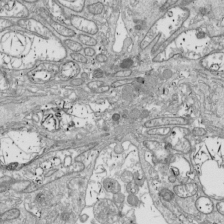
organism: Drosophila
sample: Cell division; meiosis; drosophila spermatocytes